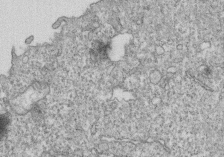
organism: Human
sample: HeLa cell HIV synapse